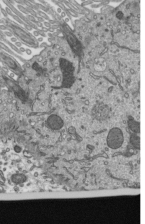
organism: Mouse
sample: Mouse epididymis efferent ductule cilia